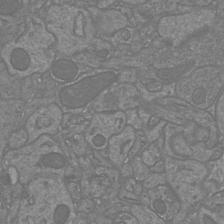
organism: Mouse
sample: Cortical neurons